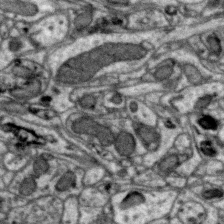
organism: Zebra finch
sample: Brain